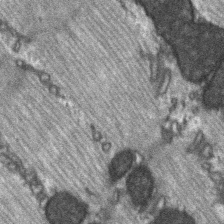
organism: C57BL Mouse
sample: Soleus